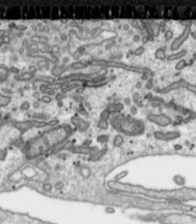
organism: Toxoplasma gondii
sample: Parasites in a vacuole inside a host cell